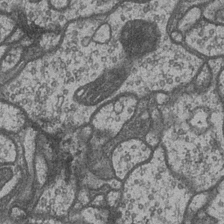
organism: Drosophila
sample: Optic medulla